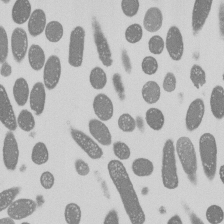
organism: E. coli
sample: Bacterial nucleoid